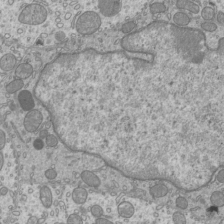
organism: Mouse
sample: Cilia; mouse epididymis